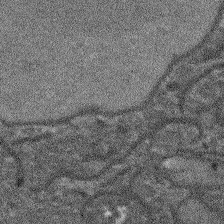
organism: Arabidopsis thaliana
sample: Root tip